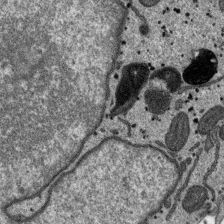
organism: Human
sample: Lung epithelial cells, uninfected (mock) control